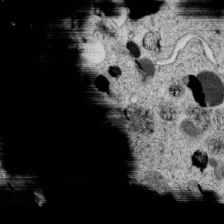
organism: C. elegans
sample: C. elegans oocyte; sperm cells